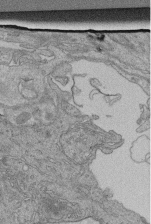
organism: Human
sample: Retinal organoid Rod and Cone cells